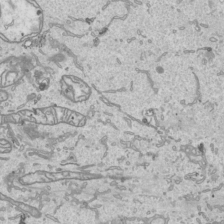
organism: Human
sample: Mitochondria in HCT116 cells